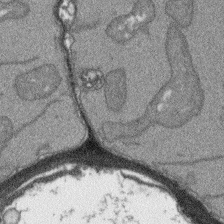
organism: Arabidopsis thaliana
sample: Root tip